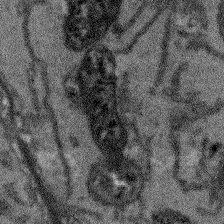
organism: Arabidopsis thaliana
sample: Root tip